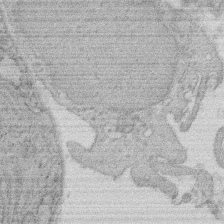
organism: Rat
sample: Salivary granule